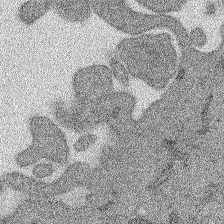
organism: Human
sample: HeLa cells